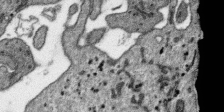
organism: Human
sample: Lung epithelial cells, uninfected (mock) control